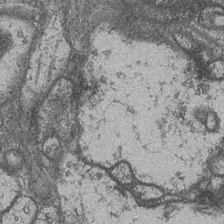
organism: Drosophila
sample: Optic medulla